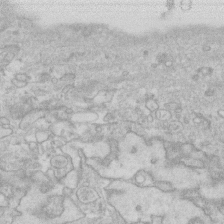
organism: Human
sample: Fibroblast cells